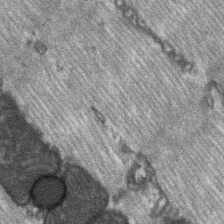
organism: C57BL Mouse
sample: Soleus